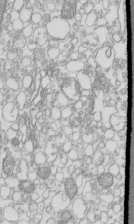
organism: Mouse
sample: Macrophages